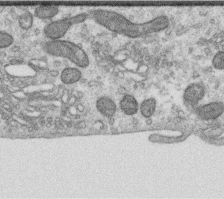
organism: Human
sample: Centriole in RPE cells